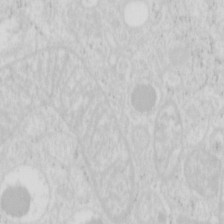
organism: Mouse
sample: Pancreas